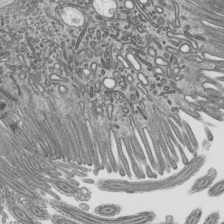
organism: Mouse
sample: Mouse epididymis efferent ductule cilia